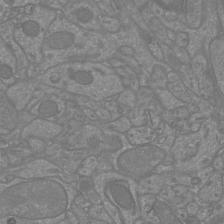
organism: Mouse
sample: Cortical neurons